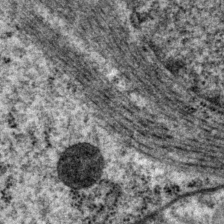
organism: P. pacificus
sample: Pharynx